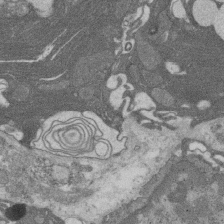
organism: Rat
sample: Salivary granule